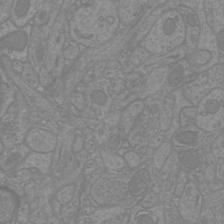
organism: Mouse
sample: Cortical neurons